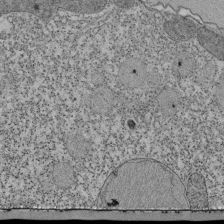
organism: Tetrahymena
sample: Cilia in tetrahymena